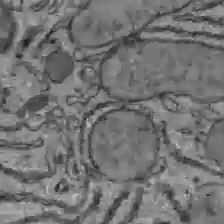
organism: C57BL Mouse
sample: Liver